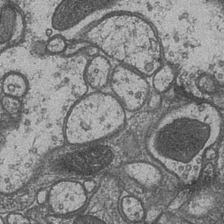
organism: Drosophila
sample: Optic medulla